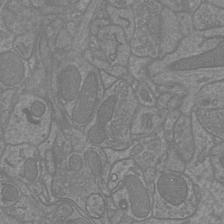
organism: Mouse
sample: Cortical neurons